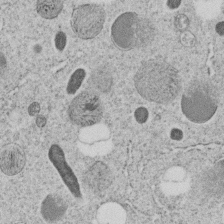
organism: C. elegans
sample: C. elegans embryo early stage